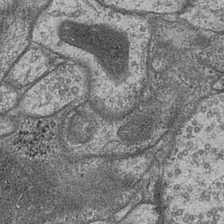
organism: Drosophila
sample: Optic medulla